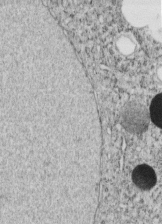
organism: C. elegans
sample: C. elegans embryo early stage